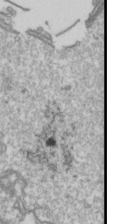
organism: Drosophila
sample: Cell division; meiosis; drosophila spermatocytes